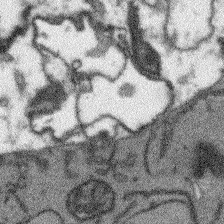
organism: Arabidopsis thaliana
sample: Root tip